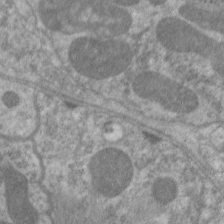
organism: C. elegans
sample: Pharynx